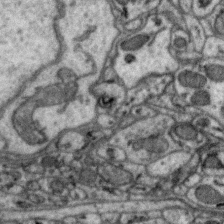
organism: Zebra finch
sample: Brain